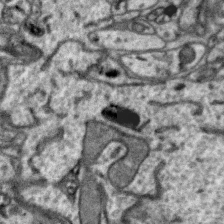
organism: Zebra finch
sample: Brain